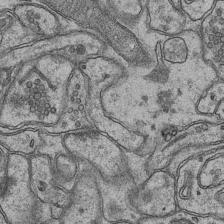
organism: Mouse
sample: CA1 Hippocampus